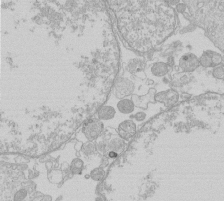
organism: Human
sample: Macrophage cells